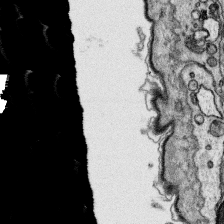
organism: Platynereis dumerilii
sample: Parapodia